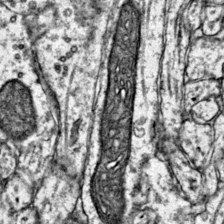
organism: Mouse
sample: Primary visual cortex